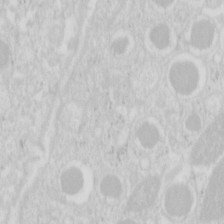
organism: Mouse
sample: Pancreas